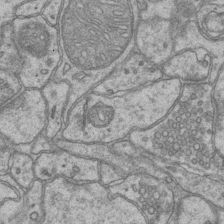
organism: Mouse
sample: CA1 Hippocampus